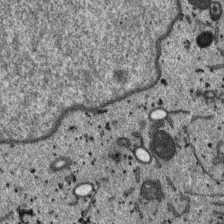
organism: Human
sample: Lung epithelial cells infected with SARS-CoV-2